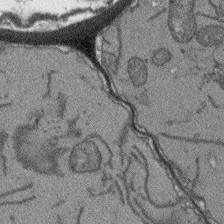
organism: Arabidopsis thaliana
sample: Root tip